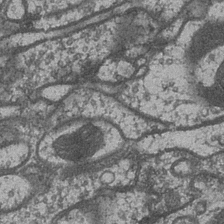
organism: Drosophila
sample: Optic medulla